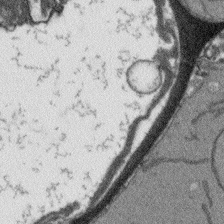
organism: Arabidopsis thaliana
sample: Root tip